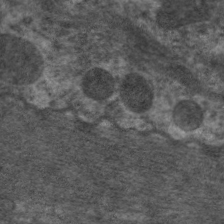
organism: C. elegans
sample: Pharynx